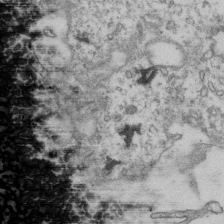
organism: Human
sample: Activated Jurkat CD4+ T cells